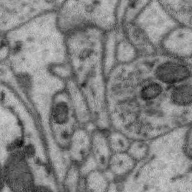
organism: Zebra finch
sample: Brain